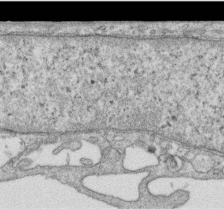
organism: Human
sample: Centriole in RPE cells